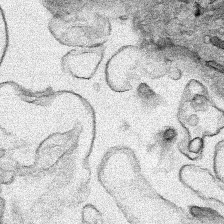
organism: Human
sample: Mitochondria in HCT116 cells